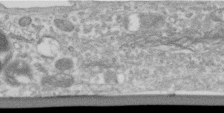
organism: Human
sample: Centriole in RPE cells